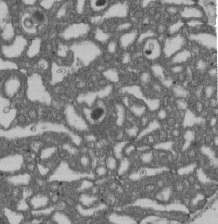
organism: Drosophila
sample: Nephrocyte